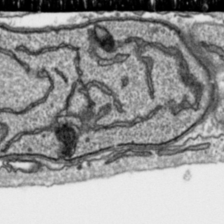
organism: Toxoplasma gondii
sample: Parasites in a vacuole inside a host cell